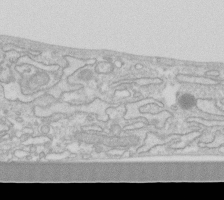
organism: Human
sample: Fibroblast cells